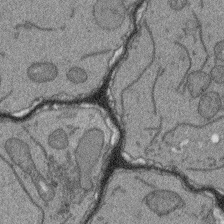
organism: Arabidopsis thaliana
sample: Root tip